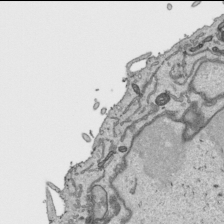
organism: Human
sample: Mitochondria in HCT116 cells